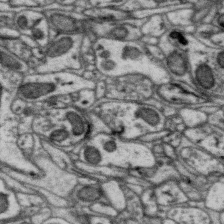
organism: Zebra finch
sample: Brain